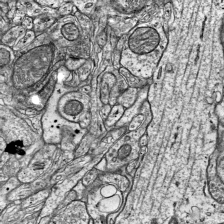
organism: Mouse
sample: Visual Cortex